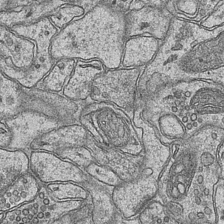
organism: Mouse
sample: CA1 Hippocampus